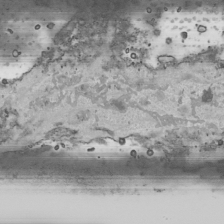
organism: Human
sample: Mitochondria in HCT116 cells